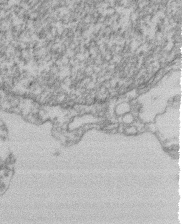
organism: Mouse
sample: T cell stromal cell synapse